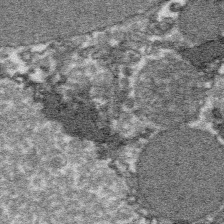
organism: Platynereis dumerilii